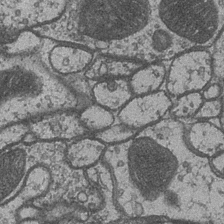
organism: Drosophila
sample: Optic medulla